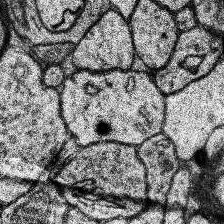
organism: Human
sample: Temporal Lobe